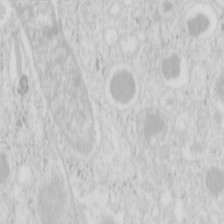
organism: Mouse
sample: Pancreas